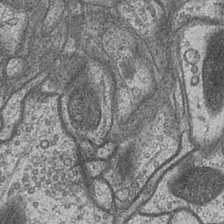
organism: Drosophila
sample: Optic medulla